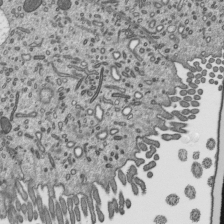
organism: Mouse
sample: Mouse epididymis efferent ductule cilia